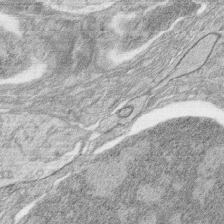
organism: Zebrafish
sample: synaptic ribbons in rod cells and cone cells